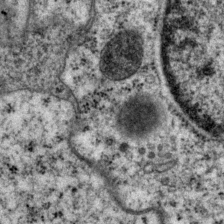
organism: P. pacificus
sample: Pharynx